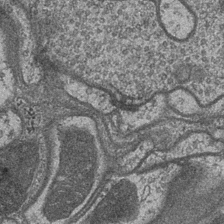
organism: Drosophila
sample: Optic medulla